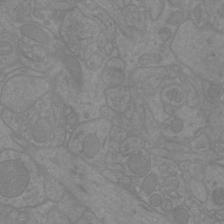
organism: Mouse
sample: Cortical neurons